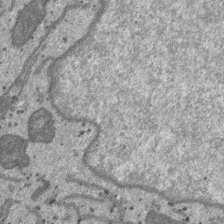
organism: Human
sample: Lung epithelial cells infected with SARS-CoV-2